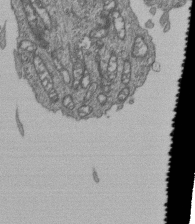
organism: Human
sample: Retinal organoid Rod and Cone cells